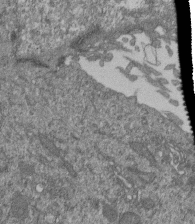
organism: Human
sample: Retinal organoid Rod and Cone cells